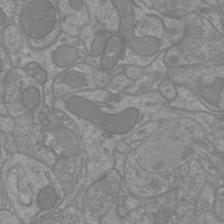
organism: Mouse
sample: Cortical neurons